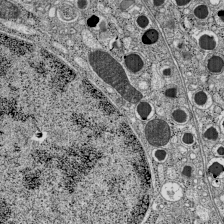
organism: C57BL Mouse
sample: Pancreatic islet